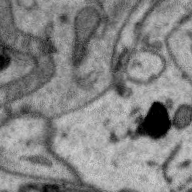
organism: Zebra finch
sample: Brain